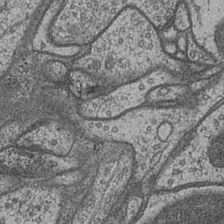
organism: Drosophila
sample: Optic medulla